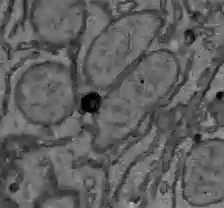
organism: C57BL Mouse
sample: Liver